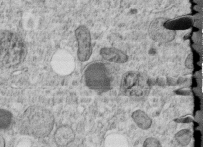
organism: C. elegans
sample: C. elegans embryo early stage